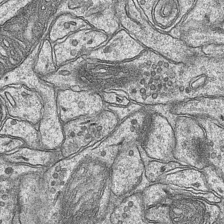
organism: Mouse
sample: CA1 Hippocampus